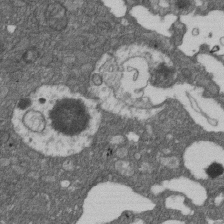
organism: Drosophila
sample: Nephrocyte